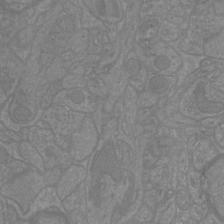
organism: Mouse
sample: Cortical neurons